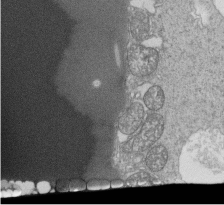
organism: Tetrahymena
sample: Cilia in tetrahymena